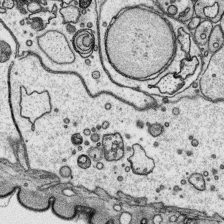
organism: Platynereis dumerilii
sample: Parapodia